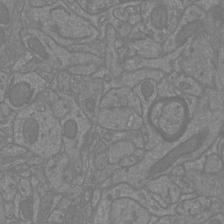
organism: Mouse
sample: Cortical neurons